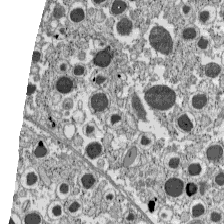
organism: C57BL Mouse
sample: Pancreatic islet